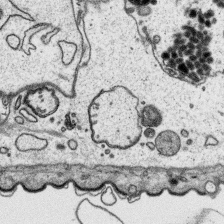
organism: Platynereis dumerilii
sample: Parapodia